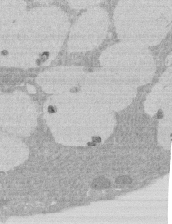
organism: Rat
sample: Salivary granule